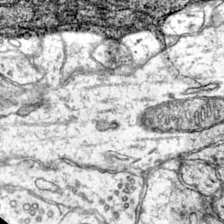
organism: Mouse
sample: Primary visual cortex